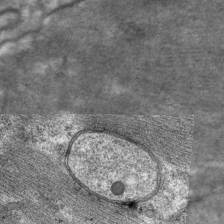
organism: C. elegans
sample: Pharynx